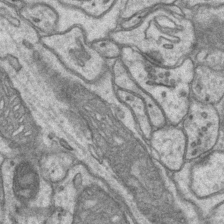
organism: Mouse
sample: CA1 Hippocampus